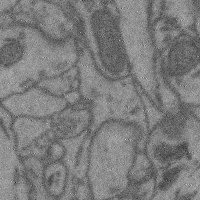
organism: Mouse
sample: Cerebral cortex